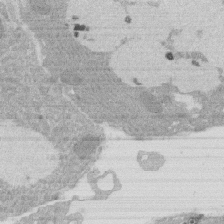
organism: Rat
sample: Salivary granule